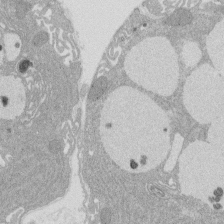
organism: Rat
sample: Salivary granule